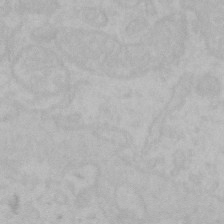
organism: Mouse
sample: Choroid plexus